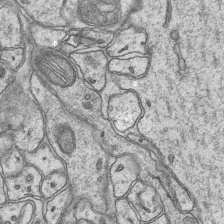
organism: Mouse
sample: CA1 Hippocampus